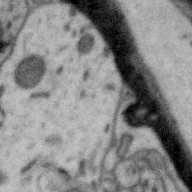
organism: Zebra finch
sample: Brain